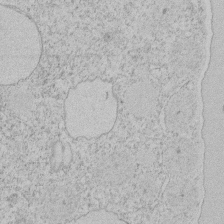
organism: Tetrahymena